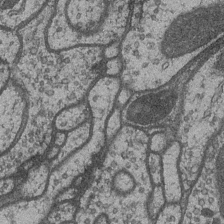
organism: Drosophila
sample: Optic medulla